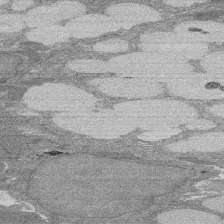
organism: Rat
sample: Salivary granule